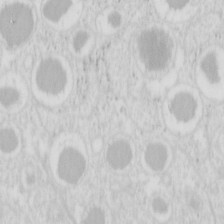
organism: Mouse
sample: Pancreas